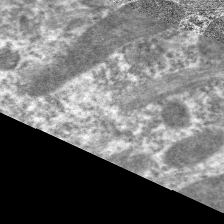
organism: C. elegans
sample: Pharynx